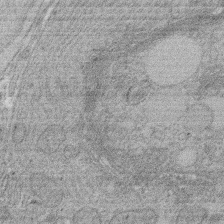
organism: Rat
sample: Salivary granule